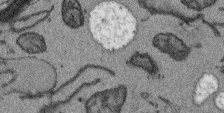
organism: Arabidopsis thaliana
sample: Root tip